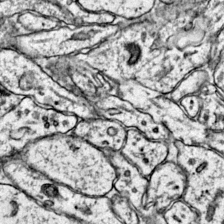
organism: Mouse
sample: Primary visual cortex